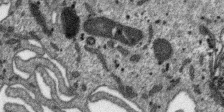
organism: Human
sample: Lung epithelial cells infected with SARS-CoV-2